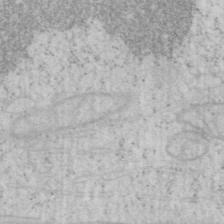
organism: Human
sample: HeLa cells